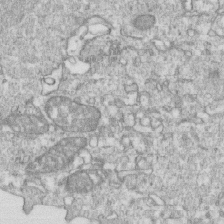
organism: Mouse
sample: Activated OT-1 CD8+ T cells